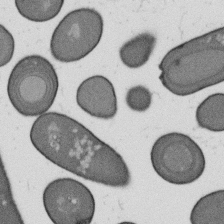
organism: B. subtilis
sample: Bacterial spore